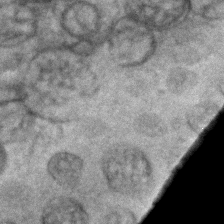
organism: C. elegans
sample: C. elegans embryo